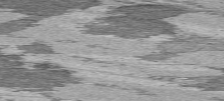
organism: C57BL Mouse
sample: Heart